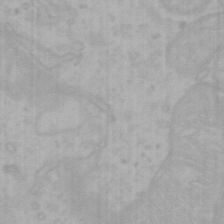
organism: Mouse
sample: Choroid plexus